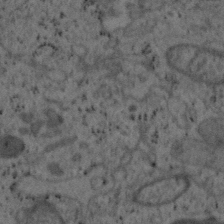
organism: Human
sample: HeLa cells